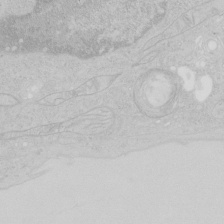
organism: Human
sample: Mitochondria in HCT116 cells